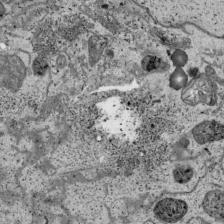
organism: Human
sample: Mitochondria in HCT116 cells